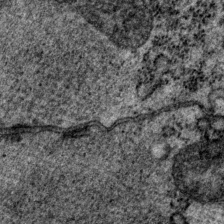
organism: P. pacificus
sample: Pharynx